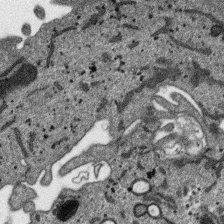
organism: Human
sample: Lung epithelial cells infected with SARS-CoV-2